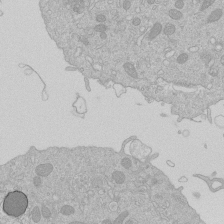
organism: Human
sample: Macrophage cells